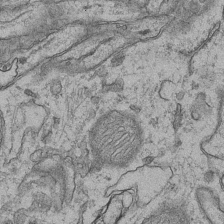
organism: Mouse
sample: CA1 Hippocampus